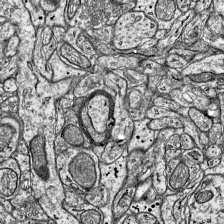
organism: Mouse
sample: Visual Cortex